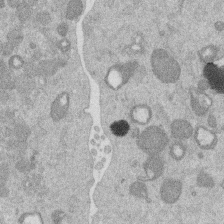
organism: Mouse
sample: Dividing mouse embryo 1 cell stage